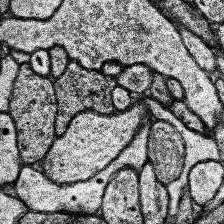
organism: Human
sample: Temporal Lobe